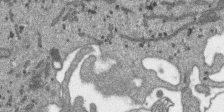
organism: Human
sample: Lung epithelial cells infected with SARS-CoV-2